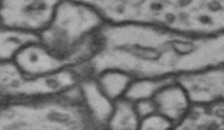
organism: Drosophila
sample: Brain